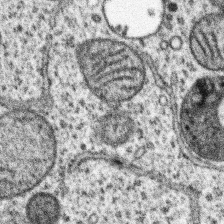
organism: Human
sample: HeLa cells